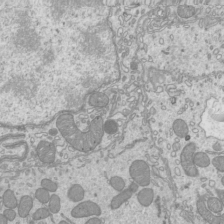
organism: Mouse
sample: Cilia; mouse epididymis